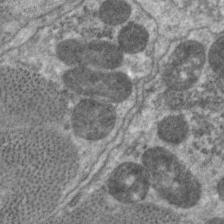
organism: C. elegans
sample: Pharynx